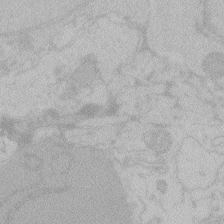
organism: Zebrafish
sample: Macrophage infected with Toxoplasma gondii